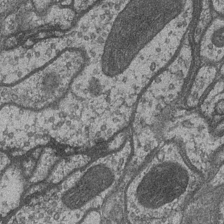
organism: Drosophila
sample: Optic medulla